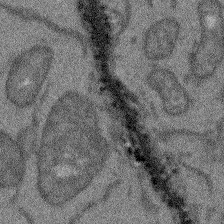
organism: Arabidopsis thaliana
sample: Root tip